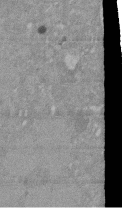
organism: Mouse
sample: ED-1 cell nuclei; centrioles